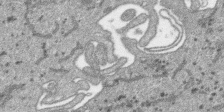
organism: Human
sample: Lung epithelial cells infected with SARS-CoV-2